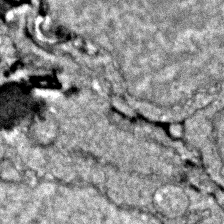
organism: Zebrafish